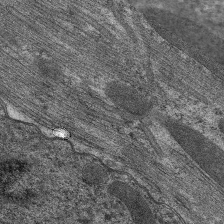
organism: C. elegans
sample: Pharynx